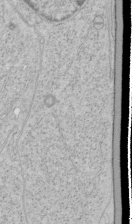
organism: Human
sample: Mitochondria in HCT116 cells